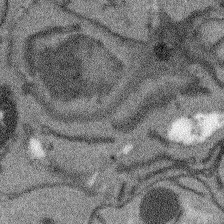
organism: Arabidopsis thaliana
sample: Root tip